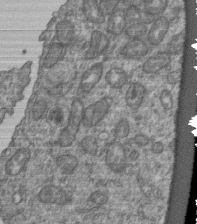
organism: Human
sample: Retinal organoid Rod and Cone cells